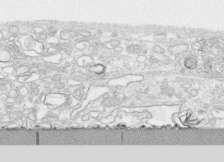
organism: Human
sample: CRL-1474